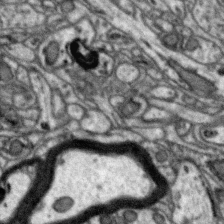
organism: Zebra finch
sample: Brain